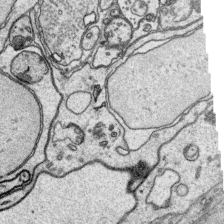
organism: Platynereis dumerilii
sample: Parapodia